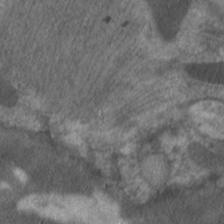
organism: C. elegans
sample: Pharynx